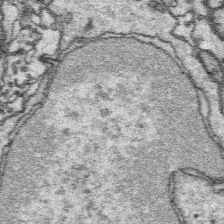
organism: Platynereis dumerilii